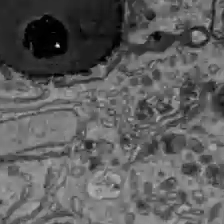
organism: C57BL Mouse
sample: Liver